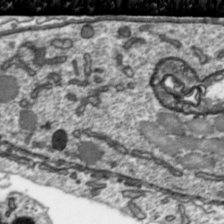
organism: Toxoplasma gondii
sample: Parasites in a vacuole inside a host cell